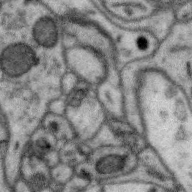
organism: Zebra finch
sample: Brain